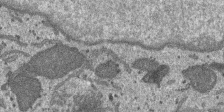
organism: Human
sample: Lung epithelial cells infected with SARS-CoV-2